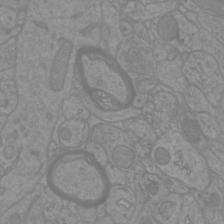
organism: Mouse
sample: Cortical neurons